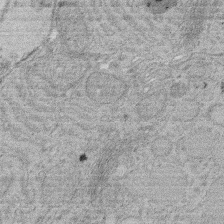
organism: Rat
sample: Salivary granule